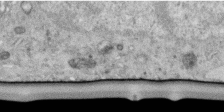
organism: Human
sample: Centriole in RPE cells